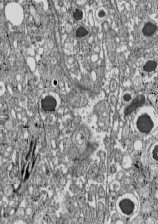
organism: C57BL Mouse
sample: Pancreatic islet